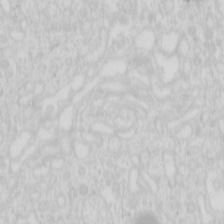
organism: Mouse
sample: Pancreas